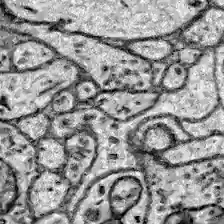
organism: Zebrafish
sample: Brain